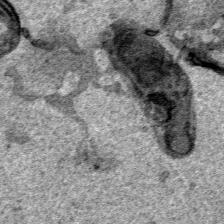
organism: Human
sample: Mitochondria in HCT116 cells